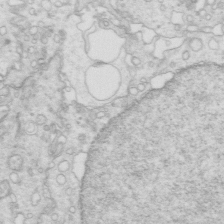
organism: Mouse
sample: Multiciliated cells